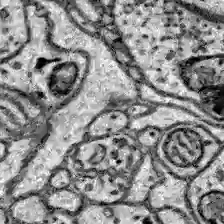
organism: Zebrafish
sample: Brain